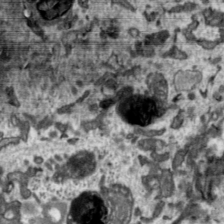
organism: Toxoplasma gondii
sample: Parasites in a vacuole inside a host cell